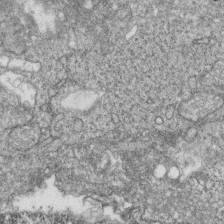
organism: Zebrafish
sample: Cilia; retinal pigment epithelium